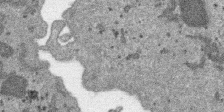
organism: Human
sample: Lung epithelial cells infected with SARS-CoV-2